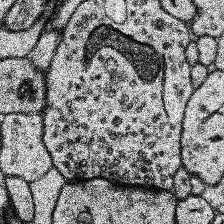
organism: Human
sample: Temporal Lobe